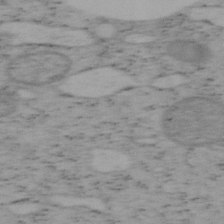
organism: Mouse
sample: OT-I killer T cells with ID8 ovarian cancer cells